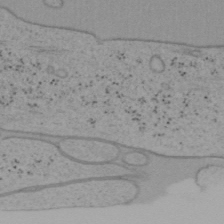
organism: Human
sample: HeLa cells